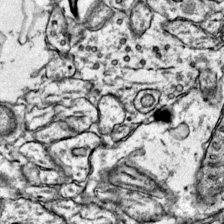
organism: Mouse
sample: Primary visual cortex